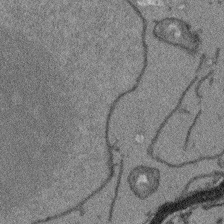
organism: Arabidopsis thaliana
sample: Root tip